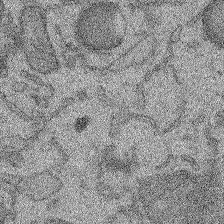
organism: Human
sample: HeLa cells